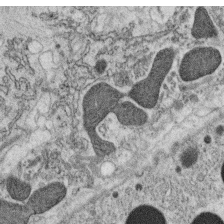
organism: C. elegans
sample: C. elegans oocyte; sperm cells